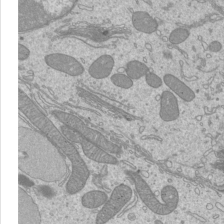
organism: Mouse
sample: Cilia; mouse epididymis